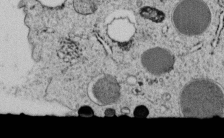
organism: C. elegans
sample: C. elegans embryo early stage